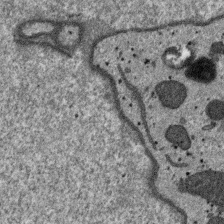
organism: Human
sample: Lung epithelial cells, uninfected (mock) control